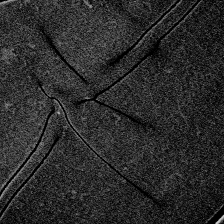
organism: Zebrafish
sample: Whole-Brain